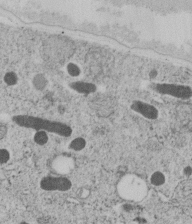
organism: C. elegans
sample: C. elegans embryo early stage